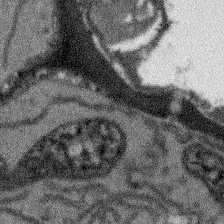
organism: Arabidopsis thaliana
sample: Root tip